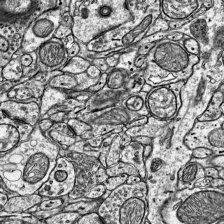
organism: Mouse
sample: Visual Cortex